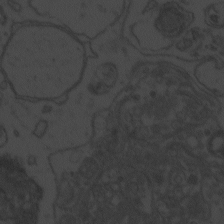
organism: Zebrafish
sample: Macrophage infected with Toxoplasma gondii